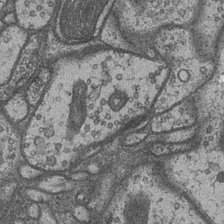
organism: Drosophila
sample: Optic medulla